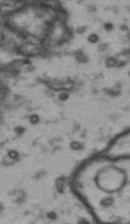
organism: Drosophila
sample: Brain